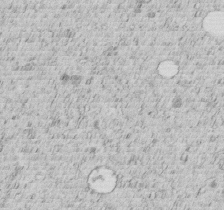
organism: C. elegans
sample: C. elegans embryo early stage